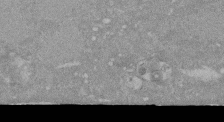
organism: Mouse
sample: ED-1 cell nuclei; centrioles